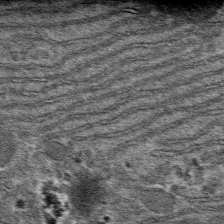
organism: Mouse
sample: Mouse hepatocytes